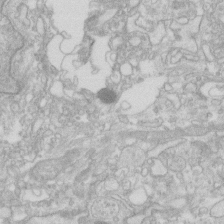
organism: Human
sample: Fibroblast cells